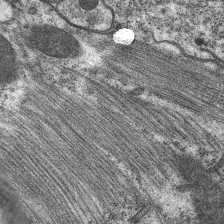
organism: C. elegans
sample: Pharynx